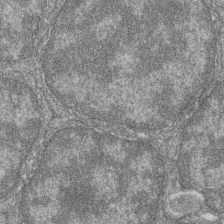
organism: Zebrafish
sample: Cilia; retinal pigment epithelium